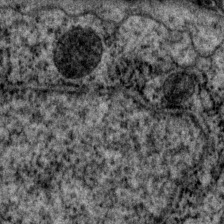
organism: P. pacificus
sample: Pharynx